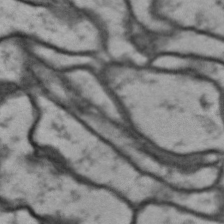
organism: Drosophila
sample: Brain